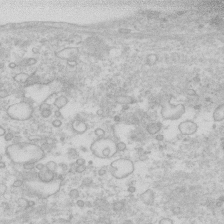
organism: Human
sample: Fibroblast cells